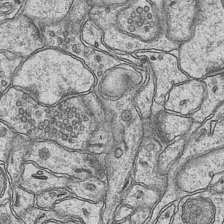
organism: Mouse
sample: CA1 Hippocampus